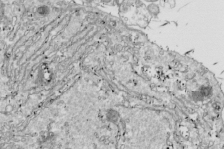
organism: Drosophila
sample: Cell division; meiosis; drosophila spermatocytes